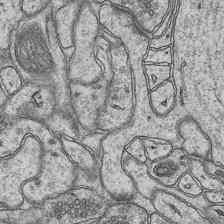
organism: Mouse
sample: CA1 Hippocampus